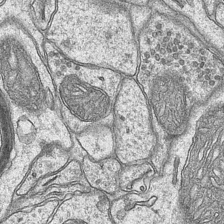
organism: Mouse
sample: CA1 Hippocampus